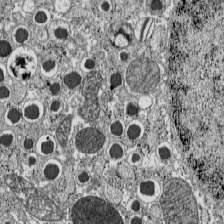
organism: C57BL Mouse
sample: Pancreatic islet